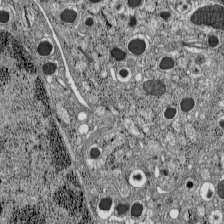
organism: C57BL Mouse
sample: Pancreatic islet